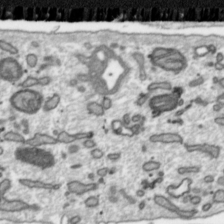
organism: Toxoplasma gondii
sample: Parasites in a vacuole inside a host cell